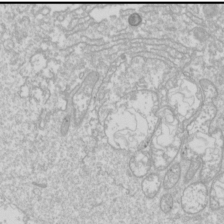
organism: Drosophila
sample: Cell division; meiosis; drosophila spermatocytes